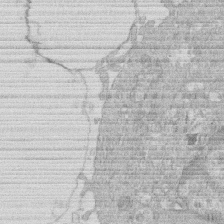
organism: Human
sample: Macrophage cells